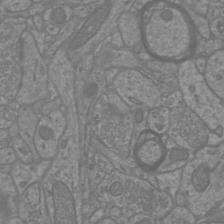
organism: Mouse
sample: Cortical neurons